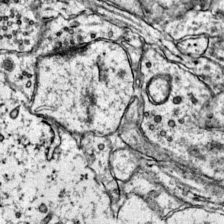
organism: Mouse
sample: Primary visual cortex